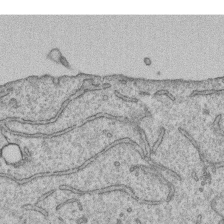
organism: Human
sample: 1205lu cells